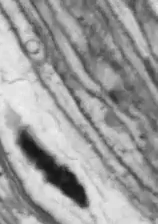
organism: Drosophila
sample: Optic lobe